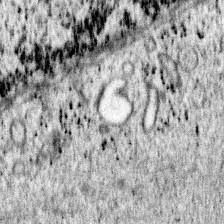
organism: Human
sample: HeLa cells